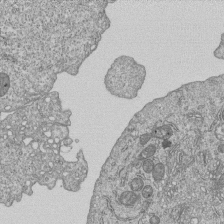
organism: Human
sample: MDA-MB-231 cells